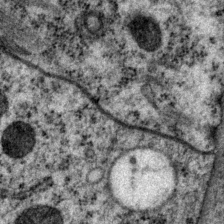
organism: P. pacificus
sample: Pharynx